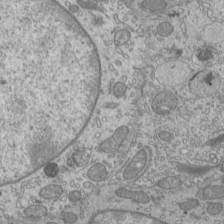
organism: Mouse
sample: Cilia; mouse epididymis